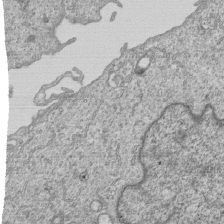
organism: Human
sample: MDA-MB-231 cells